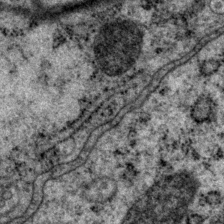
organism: P. pacificus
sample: Pharynx